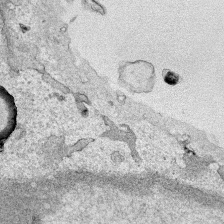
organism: Human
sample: Mitochondria in HCT116 cells